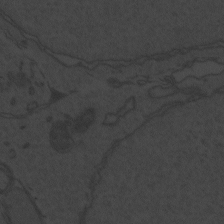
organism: Zebrafish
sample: Macrophage infected with Toxoplasma gondii